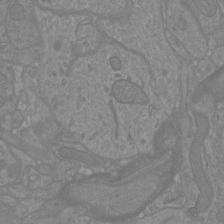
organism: Mouse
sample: Cortical neurons